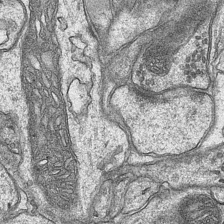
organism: Mouse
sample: CA1 Hippocampus